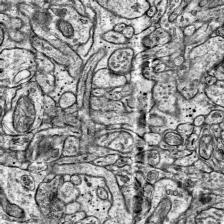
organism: Mouse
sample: Visual Cortex